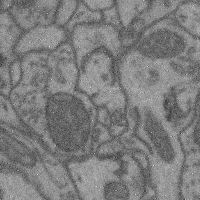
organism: Mouse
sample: Cerebral cortex